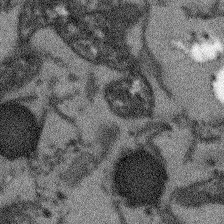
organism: Arabidopsis thaliana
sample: Root tip